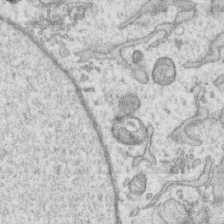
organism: Human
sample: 1205lu cells